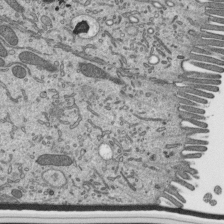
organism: Mouse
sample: Mouse epididymis efferent ductule cilia